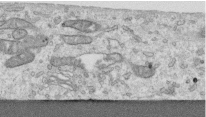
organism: Human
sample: Centriole in RPE cells